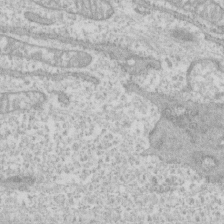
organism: Human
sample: CRL-1474